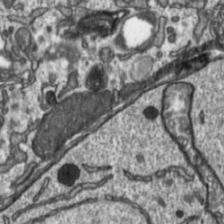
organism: Toxoplasma gondii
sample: Parasites in a vacuole inside a host cell